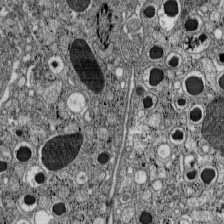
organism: C57BL Mouse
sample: Pancreatic islet